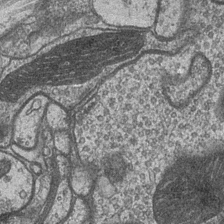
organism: Drosophila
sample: Optic medulla